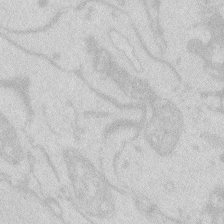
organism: Zebrafish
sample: Macrophage